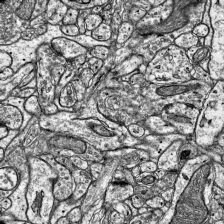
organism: Mouse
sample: Visual Cortex